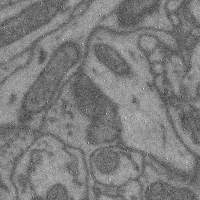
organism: Mouse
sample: Cerebral cortex